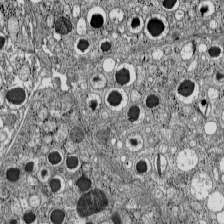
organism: C57BL Mouse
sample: Pancreatic islet